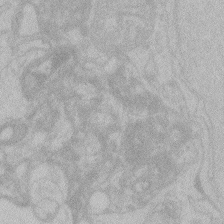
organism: Zebrafish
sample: Macrophage infected with Toxoplasma gondii